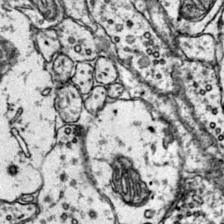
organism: Mouse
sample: Primary visual cortex